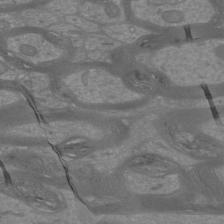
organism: Mouse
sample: Cortical neurons